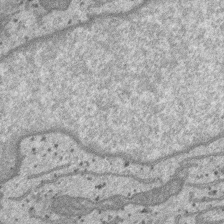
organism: Human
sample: Lung epithelial cells infected with SARS-CoV-2